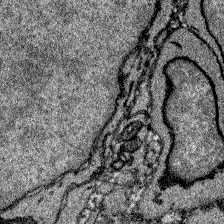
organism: Zebrafish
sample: Larval olfactory bulb